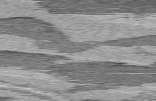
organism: C57BL Mouse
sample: Heart